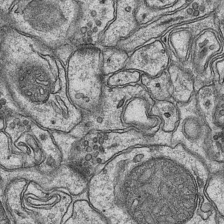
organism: Mouse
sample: CA1 Hippocampus